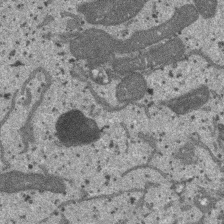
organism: Human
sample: Lung epithelial cells infected with SARS-CoV-2